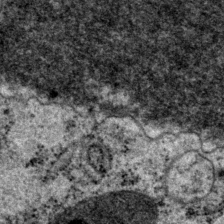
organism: P. pacificus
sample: Pharynx